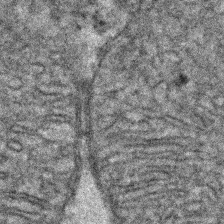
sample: Kidney